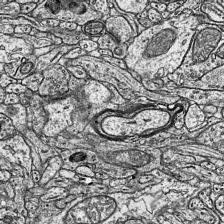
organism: Mouse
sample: Visual Cortex